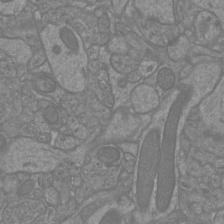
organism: Mouse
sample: Cortical neurons